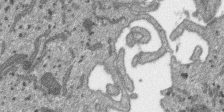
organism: Human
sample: Lung epithelial cells infected with SARS-CoV-2